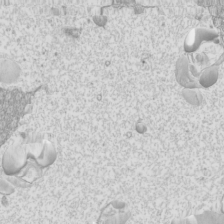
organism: Mouse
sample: Cilia; mouse epididymis